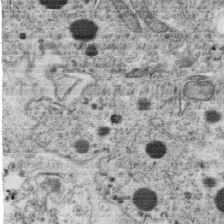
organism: C. elegans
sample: C. elegans oocyte; sperm cells